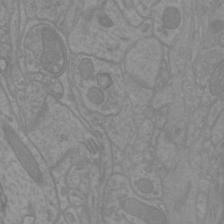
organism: Mouse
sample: Cortical neurons